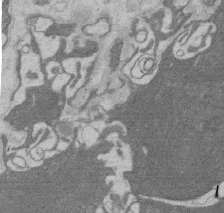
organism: Rat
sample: Salivary granule